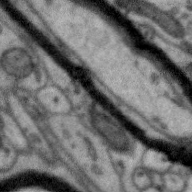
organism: Zebra finch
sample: Brain